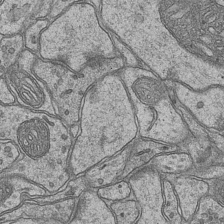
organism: Mouse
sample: CA1 Hippocampus